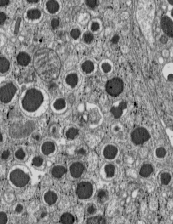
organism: C57BL Mouse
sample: Pancreatic islet